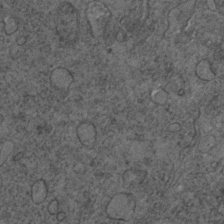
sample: Trachea